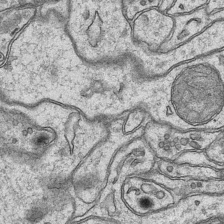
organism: Mouse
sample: CA1 Hippocampus